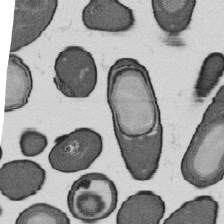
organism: B. subtilis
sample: Bacterial spore